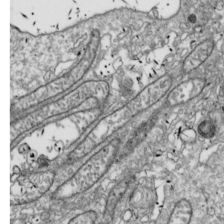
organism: Drosophila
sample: Cell division; meiosis; drosophila spermatocytes